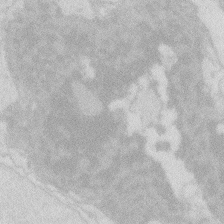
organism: Zebrafish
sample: Macrophage